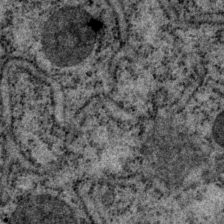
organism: P. pacificus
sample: Pharynx